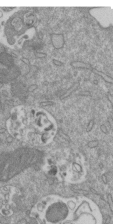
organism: Mouse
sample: ED-1 cell nuclei; centrioles